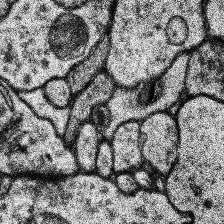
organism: Human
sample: Temporal Lobe